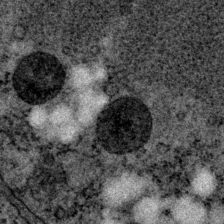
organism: P. pacificus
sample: Pharynx